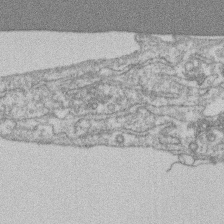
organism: Mouse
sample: T cell stromal cell synapse